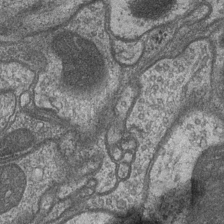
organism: Drosophila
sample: Optic medulla